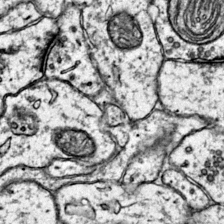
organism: Mouse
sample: Primary visual cortex